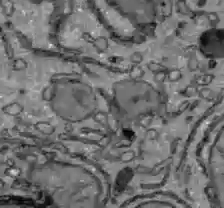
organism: C57BL Mouse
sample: Liver